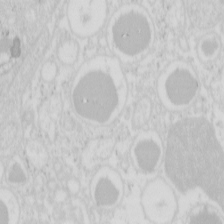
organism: Mouse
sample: Pancreas